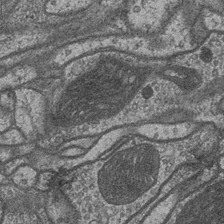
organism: Drosophila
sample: Optic medulla